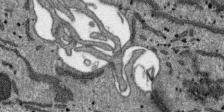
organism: Human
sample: Lung epithelial cells, uninfected (mock) control